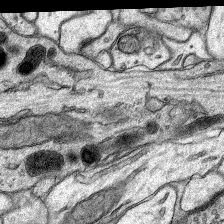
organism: Rat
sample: Hippocampus